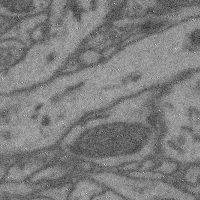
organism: Mouse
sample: Cerebral cortex